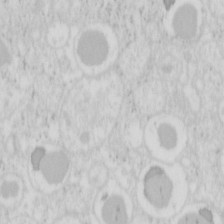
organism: Mouse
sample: Pancreas